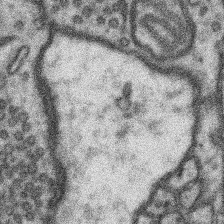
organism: Mouse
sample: Somatosensory cortex neuropil